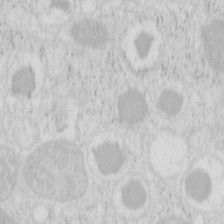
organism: Mouse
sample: Pancreas